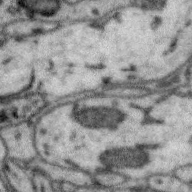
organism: Zebra finch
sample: Brain